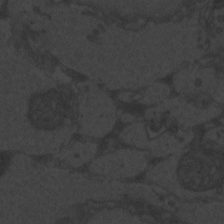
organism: Zebrafish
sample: Macrophage infected with Toxoplasma gondii